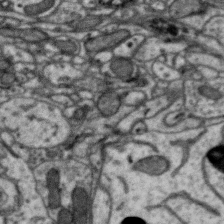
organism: Zebra finch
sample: Brain